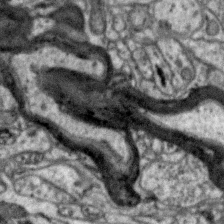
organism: Zebra finch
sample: Brain